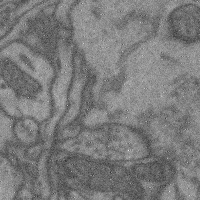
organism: Mouse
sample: Cerebral cortex